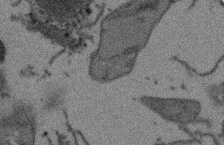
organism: Arabidopsis thaliana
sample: Root tip